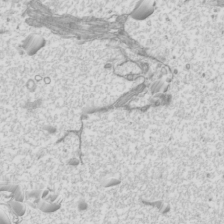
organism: Mouse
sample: Cilia; mouse epididymis